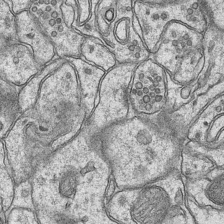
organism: Mouse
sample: CA1 Hippocampus